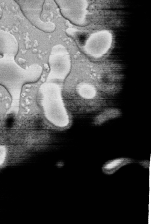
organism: Human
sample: Retinal organoid Rod and Cone cells